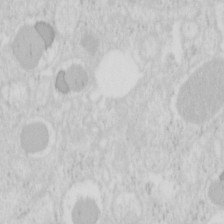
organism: Mouse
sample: Pancreas